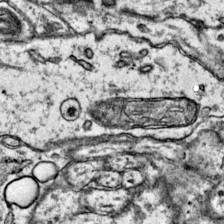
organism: Mouse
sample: Primary visual cortex